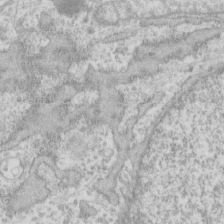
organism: Human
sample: Fibroblast cells